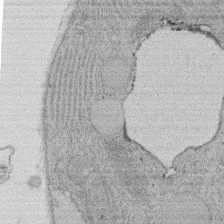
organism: Rat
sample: Salivary granule